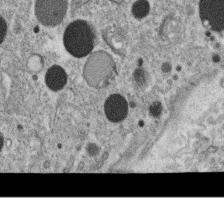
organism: C. elegans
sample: C. elegans oocyte; sperm cells